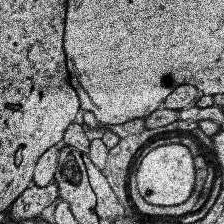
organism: Human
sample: Temporal Lobe